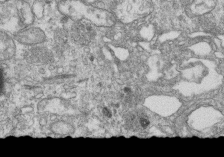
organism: Human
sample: HeLa cell HIV synapse